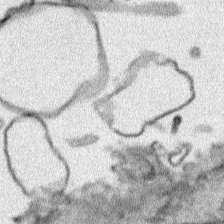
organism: Human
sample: Mitochondria in HCT116 cells